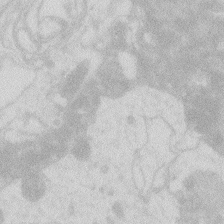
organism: Zebrafish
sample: Macrophage